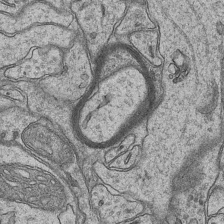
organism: Mouse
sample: CA1 Hippocampus